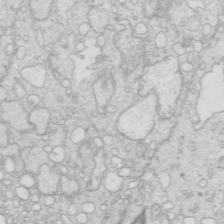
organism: Mouse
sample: Multiciliated cells